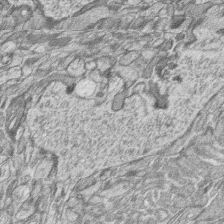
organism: Zebrafish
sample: synaptic ribbons in rod cells and cone cells